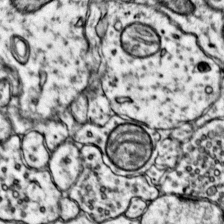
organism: Mouse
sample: Primary visual cortex